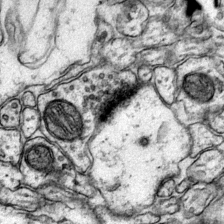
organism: Mouse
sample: Primary visual cortex